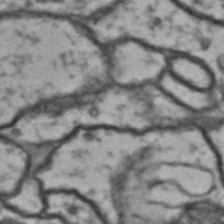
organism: Drosophila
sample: Brain